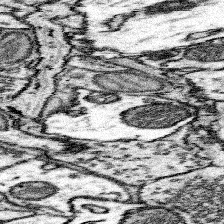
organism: Mouse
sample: Somatosensory cortex neuropil